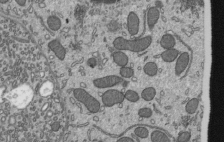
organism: Mouse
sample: Mouse epididymis efferent ductule cilia